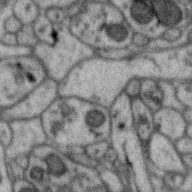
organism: Zebra finch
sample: Brain